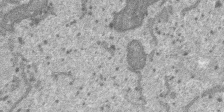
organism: Human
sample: Lung epithelial cells infected with SARS-CoV-2